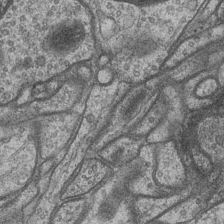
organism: Drosophila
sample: Optic medulla